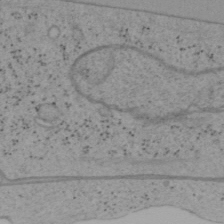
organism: Human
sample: HeLa cells